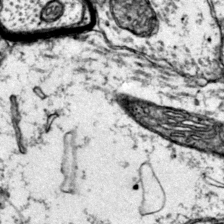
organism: Mouse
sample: Primary visual cortex